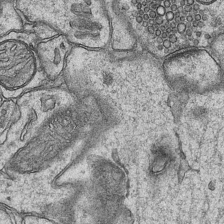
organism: Mouse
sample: CA1 Hippocampus